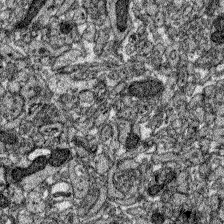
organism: Zebrafish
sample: Larval olfactory bulb